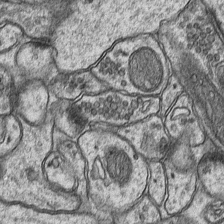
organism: Mouse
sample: CA1 Hippocampus